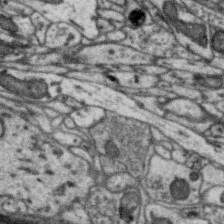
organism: Zebra finch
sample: Brain